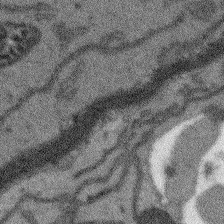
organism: Arabidopsis thaliana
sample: Root tip